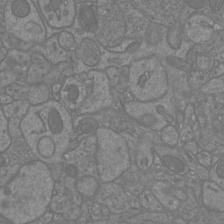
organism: Mouse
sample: Cortical neurons